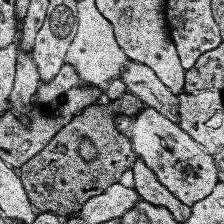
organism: Human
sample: Temporal Lobe